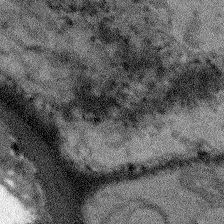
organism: Arabidopsis thaliana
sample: Root tip